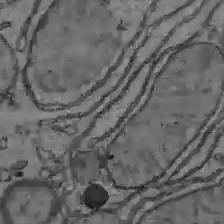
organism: C57BL Mouse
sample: Liver